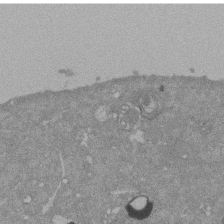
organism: Mouse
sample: ED-1 cell nuclei; centrioles